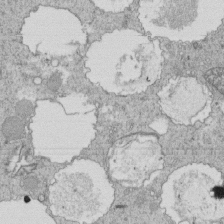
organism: Tetrahymena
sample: Cilia in tetrahymena